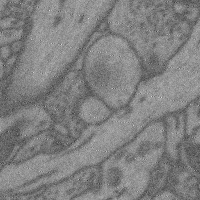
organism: Mouse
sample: Cerebral cortex